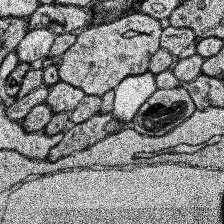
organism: Human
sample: Temporal Lobe